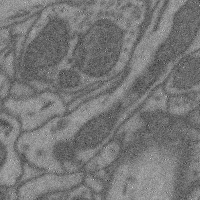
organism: Mouse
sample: Cerebral cortex